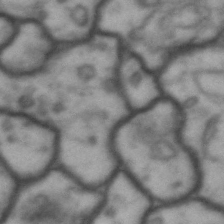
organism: Drosophila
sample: Brain